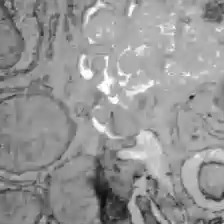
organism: C57BL Mouse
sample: Liver